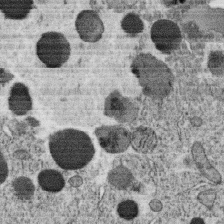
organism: C. elegans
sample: C. elegans oocyte; sperm cells